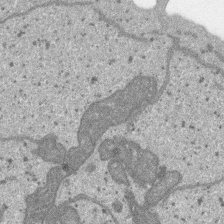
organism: Human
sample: Lung epithelial cells infected with SARS-CoV-2